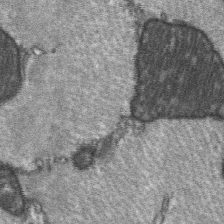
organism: C57BL Mouse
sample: Soleus